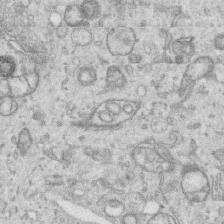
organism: Human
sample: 1205lu cells